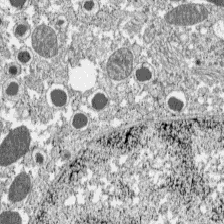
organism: C57BL Mouse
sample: Pancreatic islet